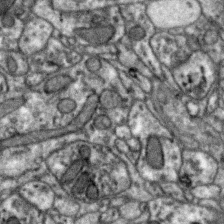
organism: Zebra finch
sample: Brain